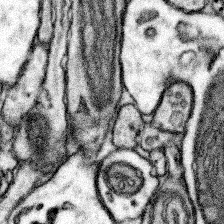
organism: Mouse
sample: Somatosensory cortex neuropil